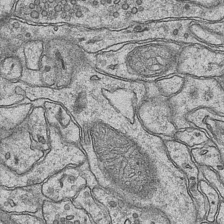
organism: Mouse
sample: CA1 Hippocampus